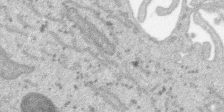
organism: Human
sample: Lung epithelial cells infected with SARS-CoV-2